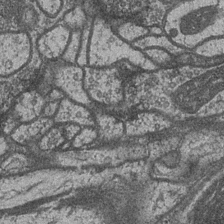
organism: Drosophila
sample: Optic medulla